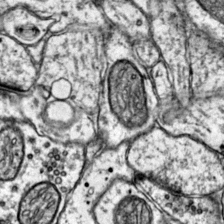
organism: Mouse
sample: Primary visual cortex